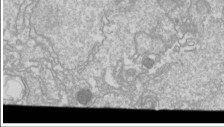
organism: Drosophila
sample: Cell division; meiosis; drosophila spermatocytes